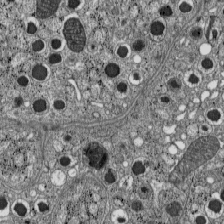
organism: C57BL Mouse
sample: Pancreatic islet